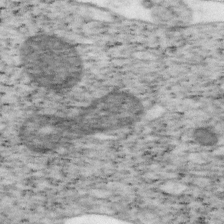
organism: Mouse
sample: OT-I killer T cells with ID8 ovarian cancer cells